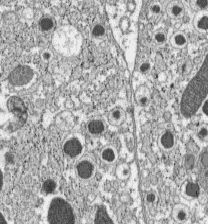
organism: C57BL Mouse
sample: Pancreatic islet